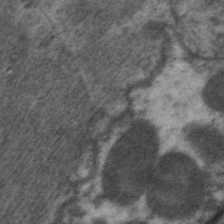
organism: C. elegans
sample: Pharynx